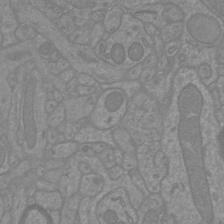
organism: Mouse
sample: Cortical neurons